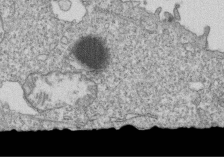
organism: Human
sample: HeLa cell HIV synapse